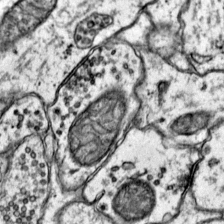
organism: Mouse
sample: Primary visual cortex